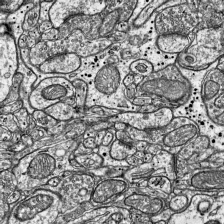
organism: Mouse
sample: Visual Cortex